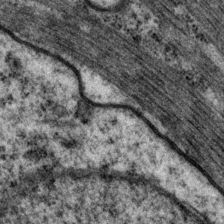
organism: P. pacificus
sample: Pharynx